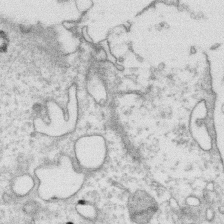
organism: Human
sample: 1205lu cells